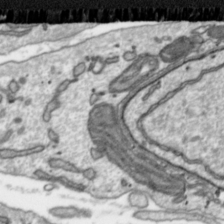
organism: Toxoplasma gondii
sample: Parasites in a vacuole inside a host cell